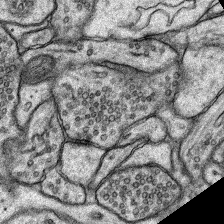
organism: Rat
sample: Hippocampus